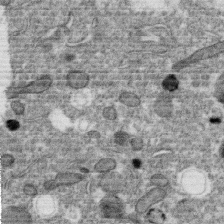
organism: C. elegans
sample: C. elegans oocyte; sperm cells